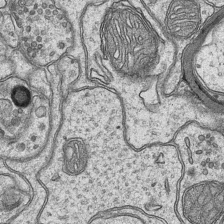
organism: Mouse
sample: CA1 Hippocampus